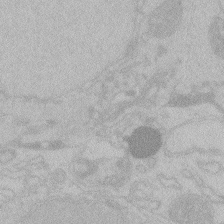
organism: Zebrafish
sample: Macrophage infected with Toxoplasma gondii